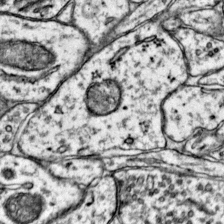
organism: Mouse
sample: Primary visual cortex